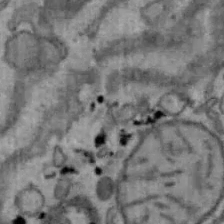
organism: Mouse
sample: Liver